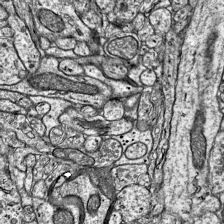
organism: Mouse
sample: Visual Cortex